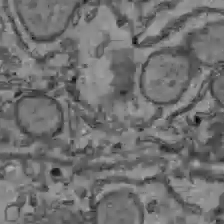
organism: C57BL Mouse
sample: Liver